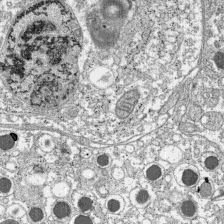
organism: C57BL Mouse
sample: Pancreatic islet